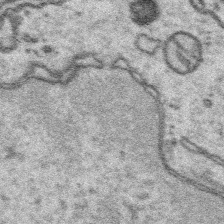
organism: Platynereis dumerilii